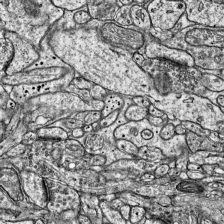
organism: Mouse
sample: Visual Cortex